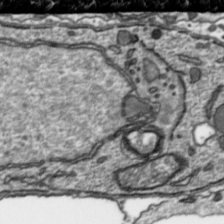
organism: Toxoplasma gondii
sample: Parasites in a vacuole inside a host cell